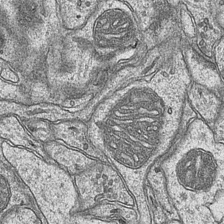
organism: Mouse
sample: CA1 Hippocampus